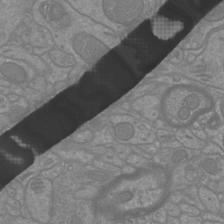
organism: Mouse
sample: Cortical neurons